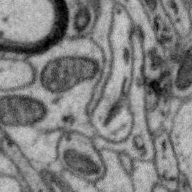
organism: Zebra finch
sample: Brain